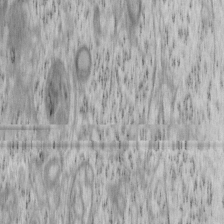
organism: Human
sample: HeLa cells